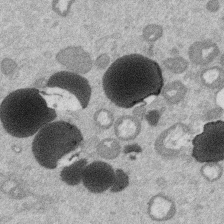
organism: Mouse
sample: Dividing mouse embryo 1 cell stage